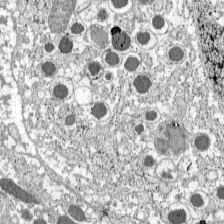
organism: C57BL Mouse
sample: Pancreatic islet